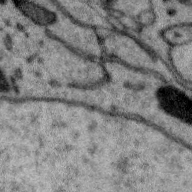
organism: Zebra finch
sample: Brain